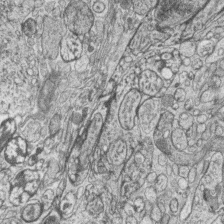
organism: Zebrafish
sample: synaptic ribbons in rod cells and cone cells